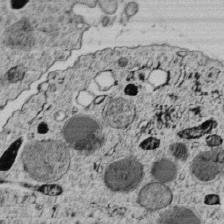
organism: C. elegans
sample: C. elegans embryo early stage